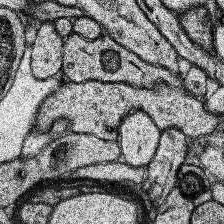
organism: Human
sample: Temporal Lobe